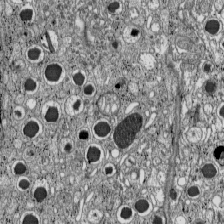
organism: C57BL Mouse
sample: Pancreatic islet